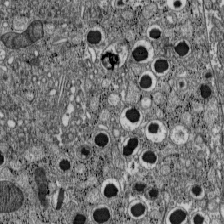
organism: C57BL Mouse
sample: Pancreatic islet